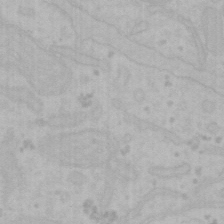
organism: Mouse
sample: Choroid plexus